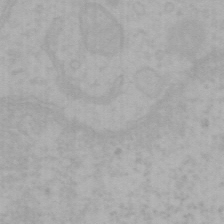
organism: Mouse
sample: Choroid plexus